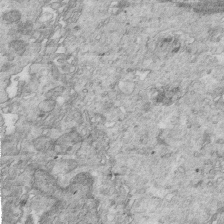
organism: Mouse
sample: Multiciliated cells